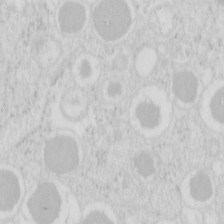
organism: Mouse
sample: Pancreas